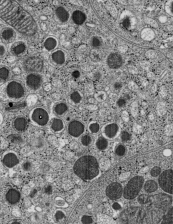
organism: C57BL Mouse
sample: Pancreatic islet